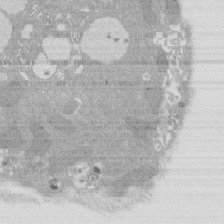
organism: Rat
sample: Salivary granule